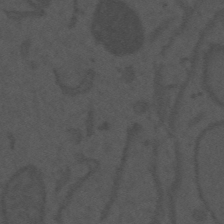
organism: Mouse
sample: Suprachiasmatic nucleus